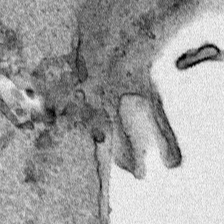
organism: Human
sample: Mitochondria in HCT116 cells